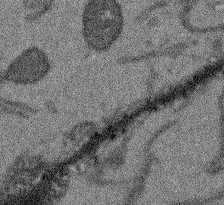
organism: Arabidopsis thaliana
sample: Root tip